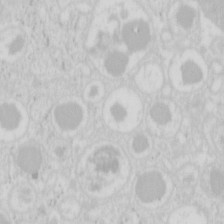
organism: Mouse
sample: Pancreas